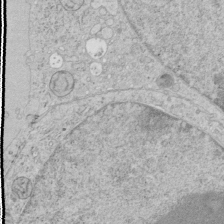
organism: Human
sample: Mitochondria in HCT116 cells